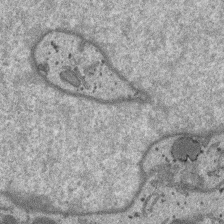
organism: Human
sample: Lung epithelial cells infected with SARS-CoV-2